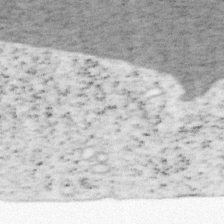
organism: Mouse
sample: OT-I killer T cells with ID8 ovarian cancer cells